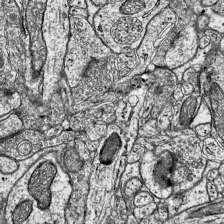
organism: Mouse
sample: Visual Cortex